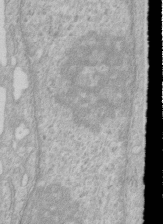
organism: Human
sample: Centriole in RPE cells